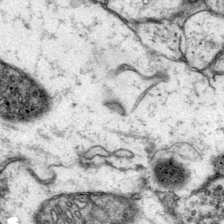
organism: Mouse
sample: Primary visual cortex